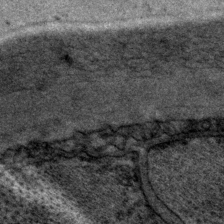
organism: P. pacificus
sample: Pharynx